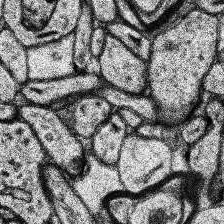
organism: Human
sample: Temporal Lobe